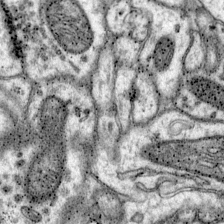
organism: Mouse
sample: Primary visual cortex